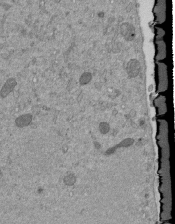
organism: Mouse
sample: ED-1 cell nuclei; centrioles